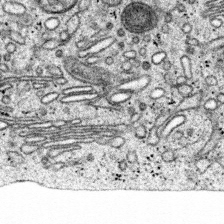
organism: Human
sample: HeLa cells